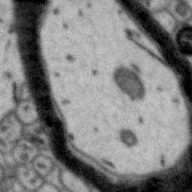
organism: Zebra finch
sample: Brain